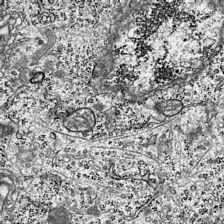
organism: Mouse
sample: Visual Cortex